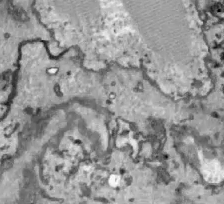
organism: Zebrafish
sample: Actinotrichia fibers